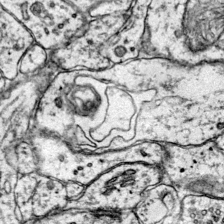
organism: Mouse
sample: Primary visual cortex